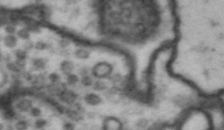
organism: Drosophila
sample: Brain